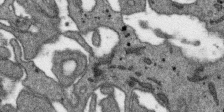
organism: Human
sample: Lung epithelial cells, uninfected (mock) control